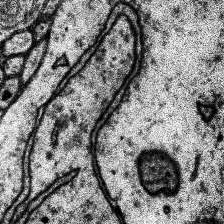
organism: Human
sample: Temporal Lobe